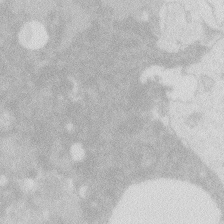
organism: Zebrafish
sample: Macrophage